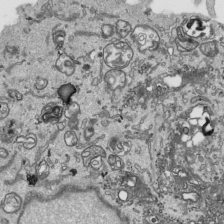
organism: Human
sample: Mitochondria in HCT116 cells